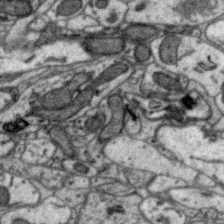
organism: Zebra finch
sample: Brain